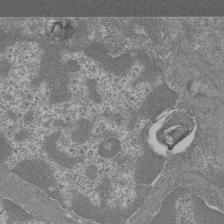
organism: Mouse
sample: Glomerulus